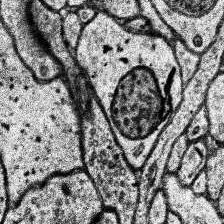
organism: Human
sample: Temporal Lobe